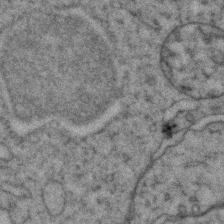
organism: Zebrafish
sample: Zebrafish embryo